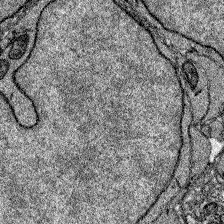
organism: Zebrafish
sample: Larval olfactory bulb